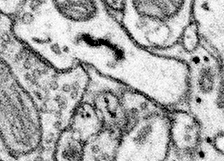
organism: Mouse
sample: Somatosensory cortex neuropil